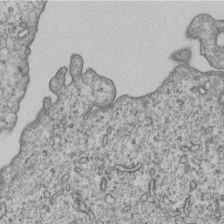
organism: Human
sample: MDA-MB-231 cells